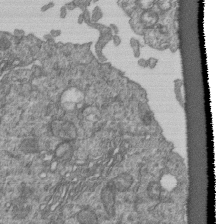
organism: Human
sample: Retinal organoid Rod and Cone cells